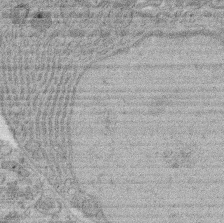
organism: Rat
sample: Salivary granule